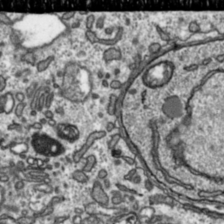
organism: Toxoplasma gondii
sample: Parasites in a vacuole inside a host cell